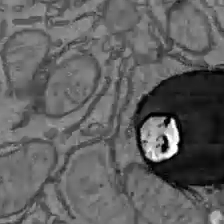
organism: C57BL Mouse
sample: Liver